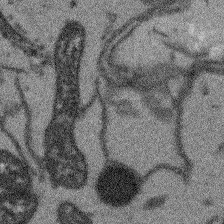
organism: Arabidopsis thaliana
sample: Root tip